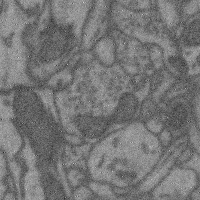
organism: Mouse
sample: Cerebral cortex